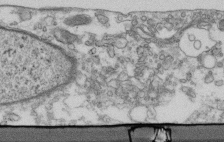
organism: Human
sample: Centriole in fibroblast cells